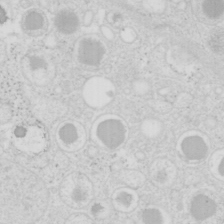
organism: Mouse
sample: Pancreas